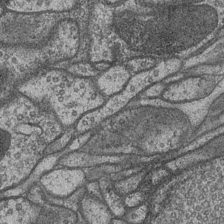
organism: Drosophila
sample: Optic medulla